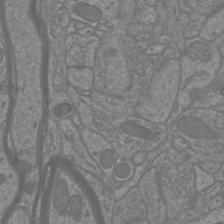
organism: Mouse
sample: Cortical neurons